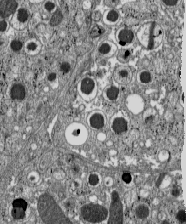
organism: C57BL Mouse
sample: Pancreatic islet